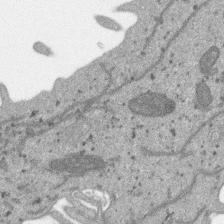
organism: Human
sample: Lung epithelial cells infected with SARS-CoV-2